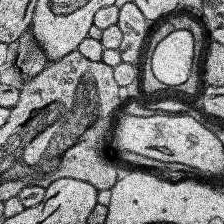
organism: Human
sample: Temporal Lobe